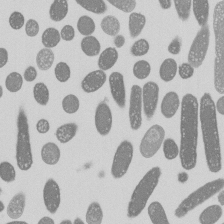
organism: E. coli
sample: Bacterial nucleoid